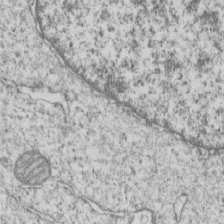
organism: Human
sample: MDA-MB-231 cells